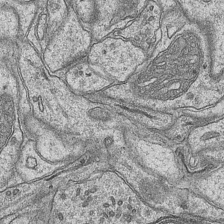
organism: Mouse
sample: CA1 Hippocampus